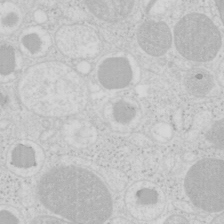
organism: Mouse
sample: Pancreas